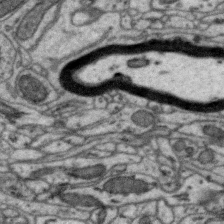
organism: Zebra finch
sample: Brain